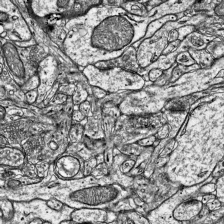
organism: Mouse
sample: Visual Cortex